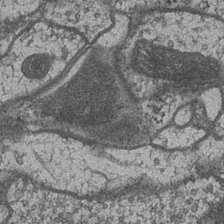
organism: Drosophila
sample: Optic medulla